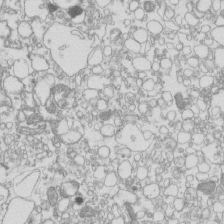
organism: Mouse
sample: Macrophages